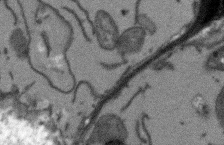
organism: Arabidopsis thaliana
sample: Root tip